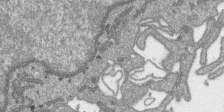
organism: Human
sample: Lung epithelial cells infected with SARS-CoV-2